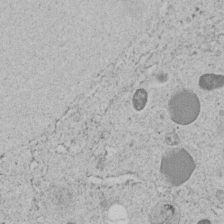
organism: C. elegans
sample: C. elegans embryo early stage